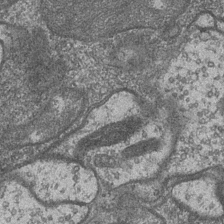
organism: Drosophila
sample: Optic medulla